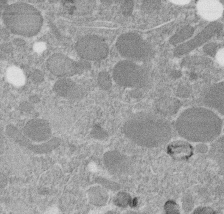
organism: C. elegans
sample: C. elegans embryo early stage